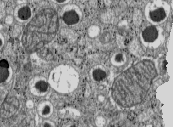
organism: C57BL Mouse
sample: Pancreatic islet